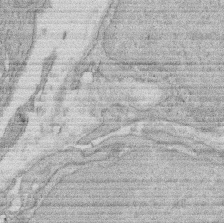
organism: Rat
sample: Salivary granule